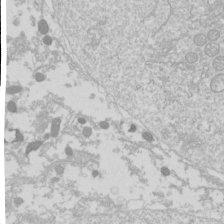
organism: Drosophila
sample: Cell division; meiosis; drosophila spermatocytes